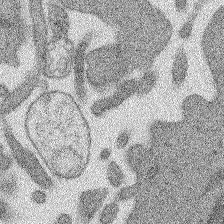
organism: Human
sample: HeLa cells